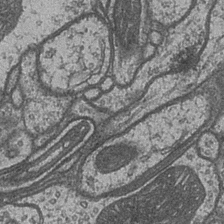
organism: Drosophila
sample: Optic medulla